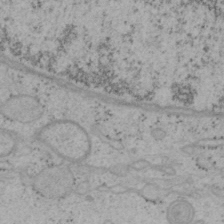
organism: Human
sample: HeLa cells